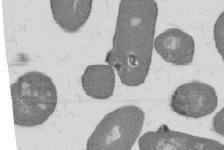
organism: B. subtilis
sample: Bacterial spore